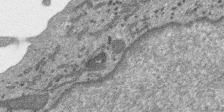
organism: Human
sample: Lung epithelial cells infected with SARS-CoV-2